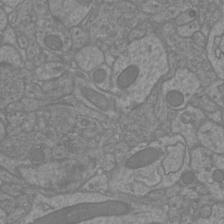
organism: Mouse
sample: Cortical neurons